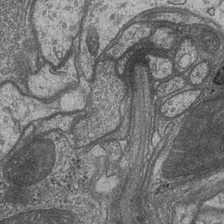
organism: Drosophila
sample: Optic medulla